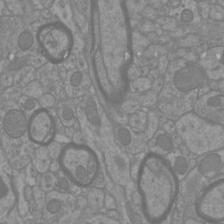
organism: Mouse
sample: Cortical neurons